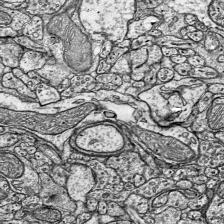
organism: Mouse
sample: Visual Cortex